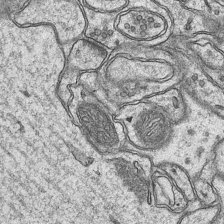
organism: Mouse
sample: CA1 Hippocampus